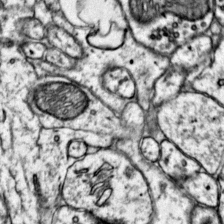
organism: Mouse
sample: Primary visual cortex